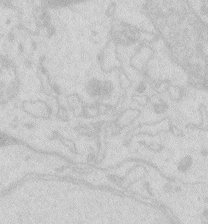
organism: Zebrafish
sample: Macrophage